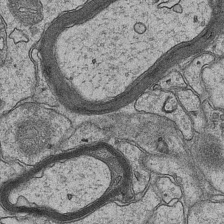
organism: Mouse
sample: CA1 Hippocampus